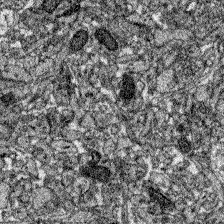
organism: Zebrafish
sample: Larval olfactory bulb